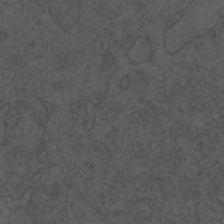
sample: Trachea